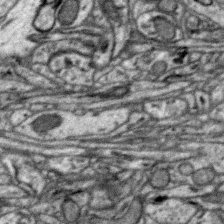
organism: Zebra finch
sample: Brain